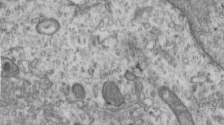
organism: Human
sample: Centriole in RPE cells